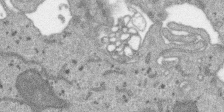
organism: Human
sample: Lung epithelial cells infected with SARS-CoV-2